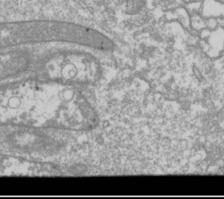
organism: Drosophila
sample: Cell division; meiosis; drosophila spermatocytes